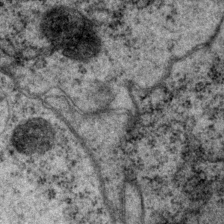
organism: P. pacificus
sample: Pharynx